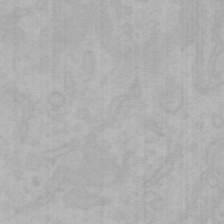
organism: Mouse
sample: Choroid plexus